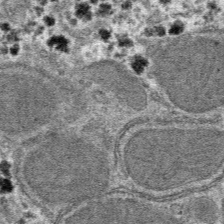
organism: Mouse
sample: Mouse hepatocytes